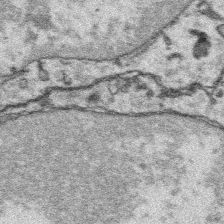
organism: Platynereis dumerilii